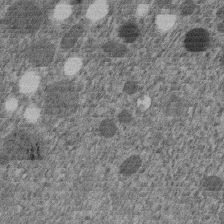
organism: C. elegans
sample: C. elegans embryo early stage